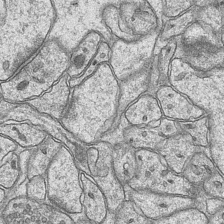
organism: Mouse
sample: CA1 Hippocampus